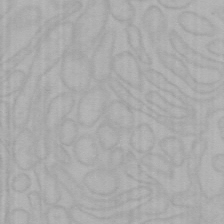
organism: Mouse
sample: Choroid plexus